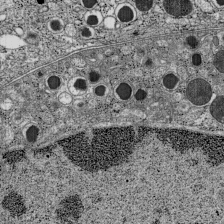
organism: C57BL Mouse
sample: Pancreatic islet